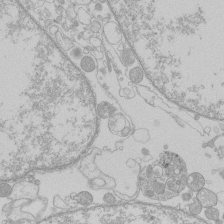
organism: Human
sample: Macrophage cells